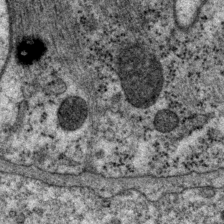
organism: P. pacificus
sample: Pharynx